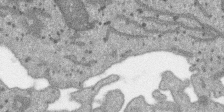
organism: Human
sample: Lung epithelial cells infected with SARS-CoV-2